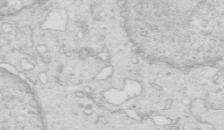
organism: Mouse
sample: Multiciliated cells